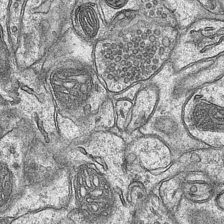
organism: Mouse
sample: CA1 Hippocampus